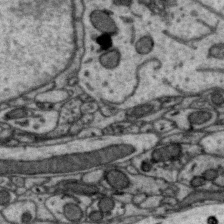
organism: Zebra finch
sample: Brain